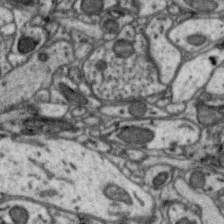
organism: Zebra finch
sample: Brain